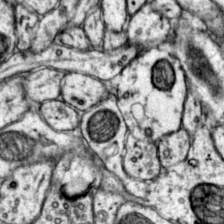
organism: Mouse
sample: Primary visual cortex